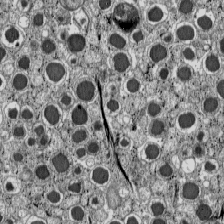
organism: C57BL Mouse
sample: Pancreatic islet